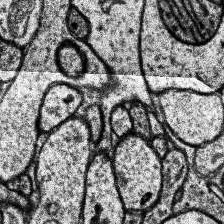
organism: Human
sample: Temporal Lobe